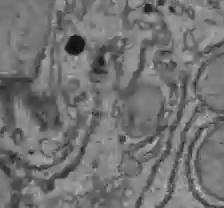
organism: C57BL Mouse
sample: Liver